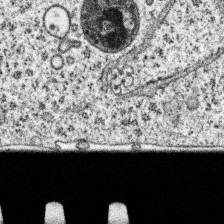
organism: Human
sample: HeLa cells